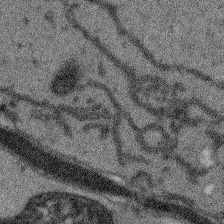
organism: Arabidopsis thaliana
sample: Root tip